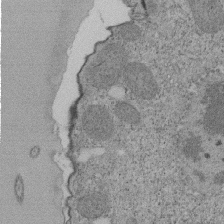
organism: Tetrahymena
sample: Cilia in tetrahymena